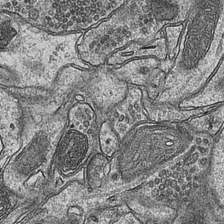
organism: Mouse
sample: CA1 Hippocampus